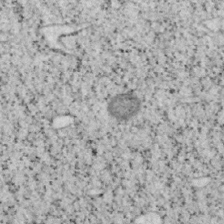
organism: Mouse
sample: OT-I killer T cells with ID8 ovarian cancer cells